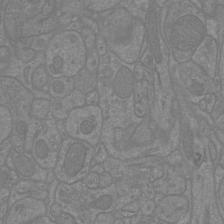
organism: Mouse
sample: Cortical neurons